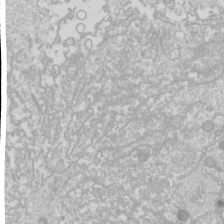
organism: Drosophila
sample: Cell division; meiosis; drosophila spermatocytes